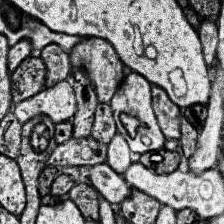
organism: Human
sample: Temporal Lobe